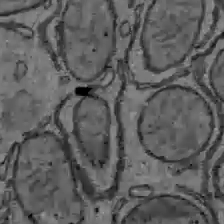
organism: C57BL Mouse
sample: Liver